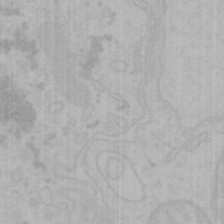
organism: Mouse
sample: Choroid plexus